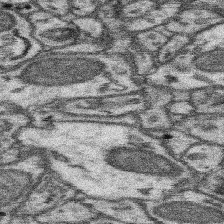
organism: Mouse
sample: Somatosensory cortex neuropil